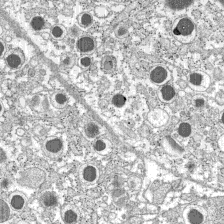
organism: C57BL Mouse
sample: Pancreatic islet